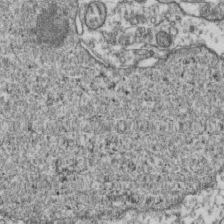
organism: Human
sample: Activated Jurkat CD4+ T cells